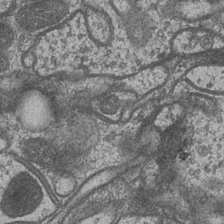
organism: Drosophila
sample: Optic medulla